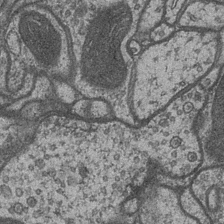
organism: Drosophila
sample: Optic medulla